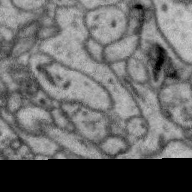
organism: Zebra finch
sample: Brain